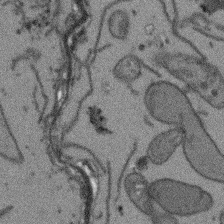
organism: Arabidopsis thaliana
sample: Root tip